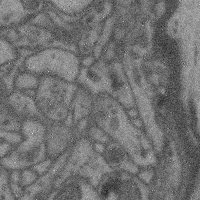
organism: Mouse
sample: Cerebral cortex